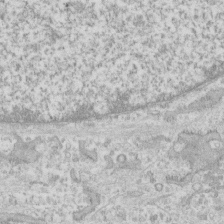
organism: Human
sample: CRL-1474